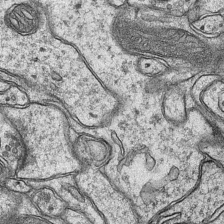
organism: Mouse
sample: CA1 Hippocampus